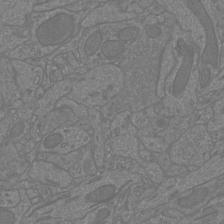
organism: Mouse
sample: Cortical neurons